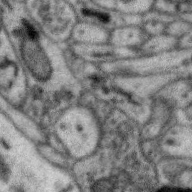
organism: Zebra finch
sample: Brain